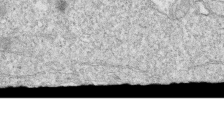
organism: Human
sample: HeLa cell HIV synapse